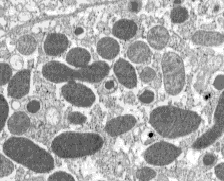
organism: C57BL Mouse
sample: Pancreatic islet